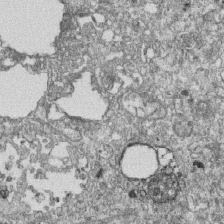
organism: Human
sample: HeLa cell HIV synapse